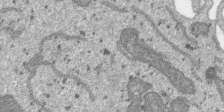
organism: Human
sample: Lung epithelial cells infected with SARS-CoV-2